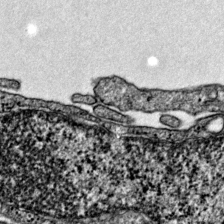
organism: Mouse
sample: Primary visual cortex